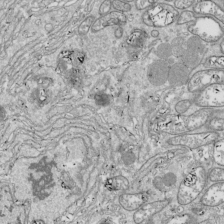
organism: Drosophila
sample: Cell division; meiosis; drosophila spermatocytes